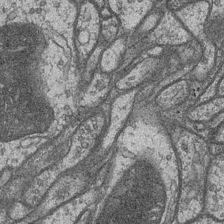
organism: Drosophila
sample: Optic medulla